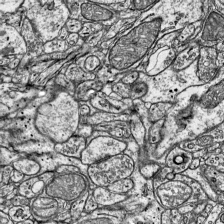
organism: Mouse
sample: Visual Cortex